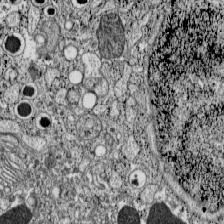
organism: C57BL Mouse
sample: Pancreatic islet